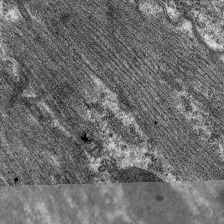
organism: C. elegans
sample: Pharynx